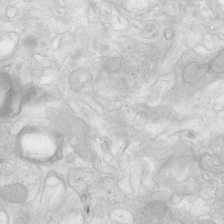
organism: Human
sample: Neocortex